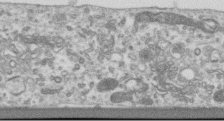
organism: Human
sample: Centriole in RPE cells